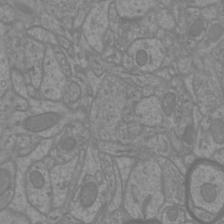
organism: Mouse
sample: Cortical neurons